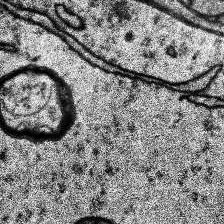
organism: Human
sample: Temporal Lobe